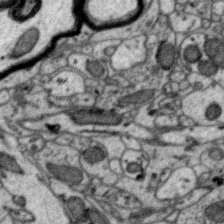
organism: Zebra finch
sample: Brain